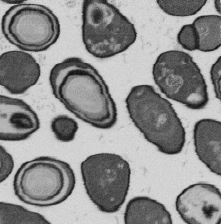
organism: B. subtilis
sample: Bacterial spore